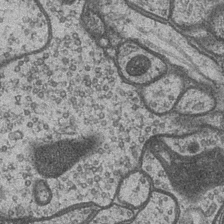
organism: Drosophila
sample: Optic medulla